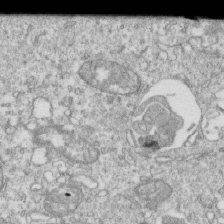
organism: Mouse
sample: Activated OT-1 CD8+ T cells